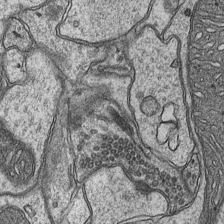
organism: Mouse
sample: CA1 Hippocampus